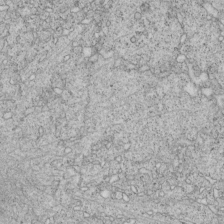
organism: C. elegans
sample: C. elegans embryo early stage